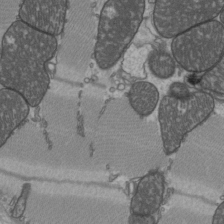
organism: C57BL Mouse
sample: Heart